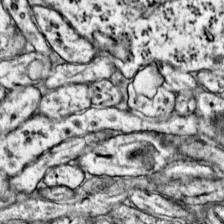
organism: Mouse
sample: Primary visual cortex